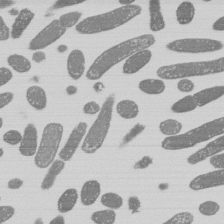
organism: E. coli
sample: Bacterial nucleoid